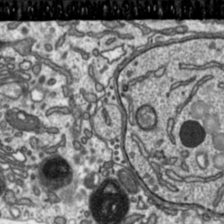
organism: Toxoplasma gondii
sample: Parasites in a vacuole inside a host cell